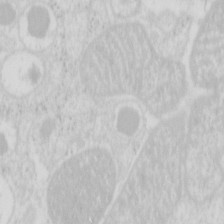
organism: Mouse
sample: Pancreas